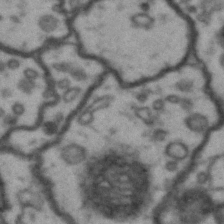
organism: Drosophila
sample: Brain